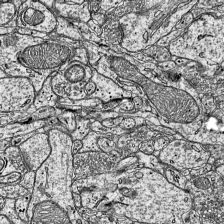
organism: Mouse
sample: Visual Cortex